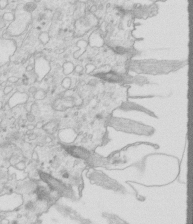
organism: Mouse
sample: Multiciliated cells